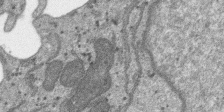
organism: Human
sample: Lung epithelial cells infected with SARS-CoV-2